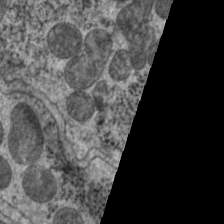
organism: C. elegans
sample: Pharynx